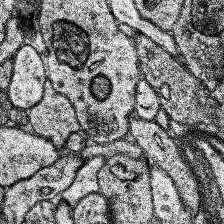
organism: Human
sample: Temporal Lobe